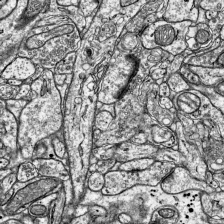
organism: Mouse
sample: Visual Cortex